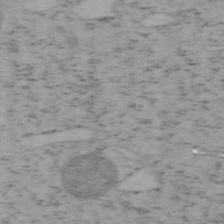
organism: Mouse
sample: OT-I killer T cells with ID8 ovarian cancer cells